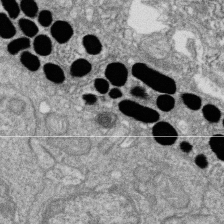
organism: Zebrafish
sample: Cilia; retinal pigment epithelium